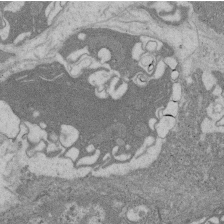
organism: Rat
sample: Salivary granule